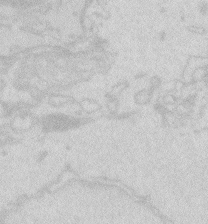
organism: Zebrafish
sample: Macrophage